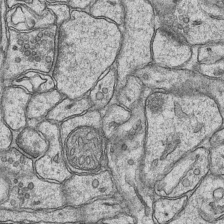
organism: Mouse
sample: CA1 Hippocampus